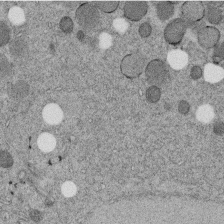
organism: C. elegans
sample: C. elegans embryo early stage